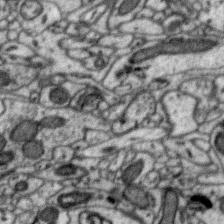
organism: Zebra finch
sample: Brain